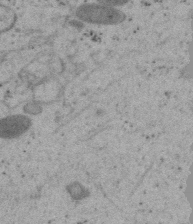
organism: Human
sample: HeLa cells